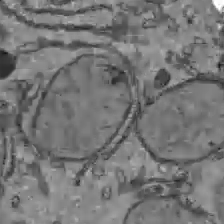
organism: C57BL Mouse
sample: Liver